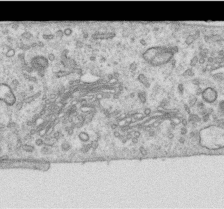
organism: Human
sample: Centriole in RPE cells